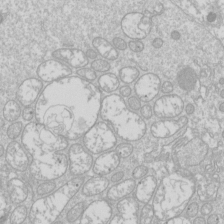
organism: Drosophila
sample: Cell division; meiosis; drosophila spermatocytes